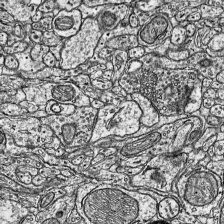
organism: Mouse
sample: Visual Cortex